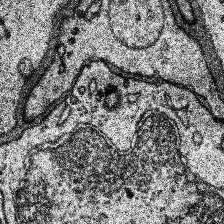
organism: Human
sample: Temporal Lobe